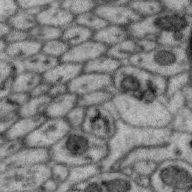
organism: Zebra finch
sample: Brain